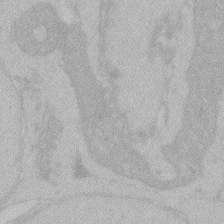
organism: Zebrafish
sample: Macrophage infected with Toxoplasma gondii